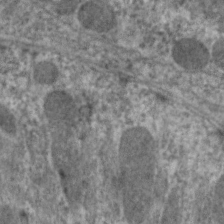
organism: C. elegans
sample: Pharynx